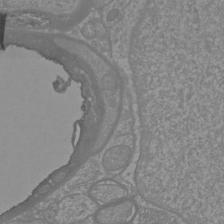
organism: Mouse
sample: Cortical neurons